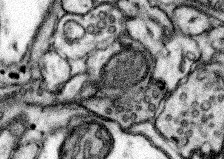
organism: Mouse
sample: Somatosensory cortex neuropil